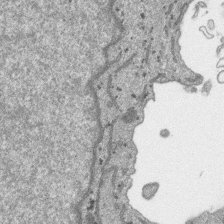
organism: Human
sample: Lung epithelial cells infected with SARS-CoV-2